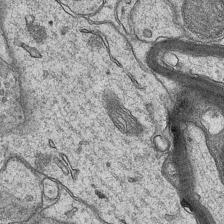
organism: Mouse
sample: CA1 Hippocampus